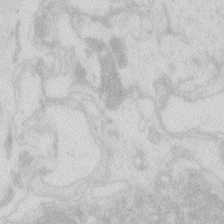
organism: Zebrafish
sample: Macrophage